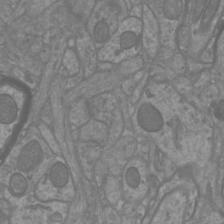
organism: Mouse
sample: Cortical neurons